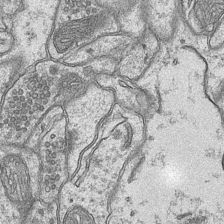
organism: Mouse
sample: CA1 Hippocampus